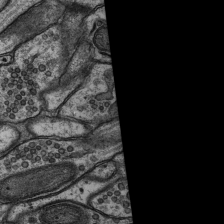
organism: Rat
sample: Hippocampus